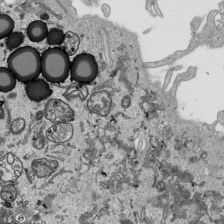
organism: Human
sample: Mitochondria in HCT116 cells